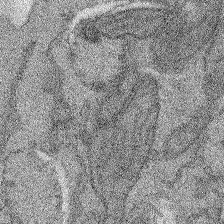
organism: Human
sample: HeLa cells